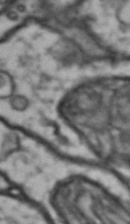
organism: Drosophila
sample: Brain